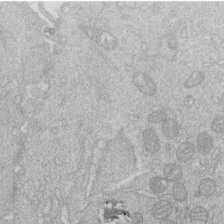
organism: Human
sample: Macrophage cells